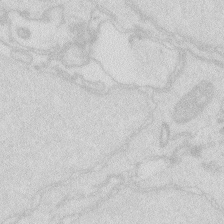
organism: Zebrafish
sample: Macrophage